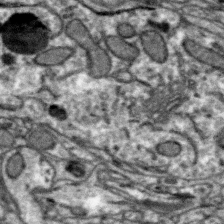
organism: Zebra finch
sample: Brain